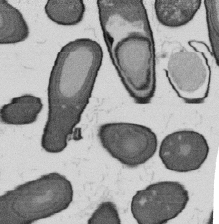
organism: B. subtilis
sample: Bacterial spore